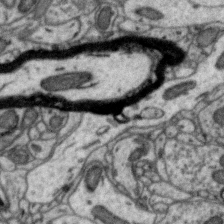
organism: Zebra finch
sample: Brain